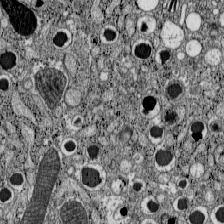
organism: C57BL Mouse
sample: Pancreatic islet